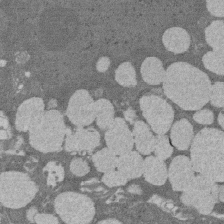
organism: Rat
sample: Salivary granule